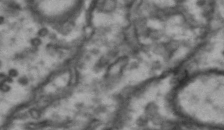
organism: Drosophila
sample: Brain